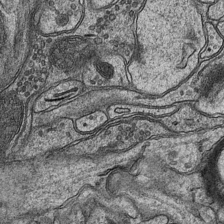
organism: Mouse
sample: CA1 Hippocampus